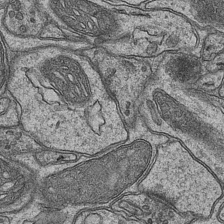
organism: Mouse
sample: CA1 Hippocampus